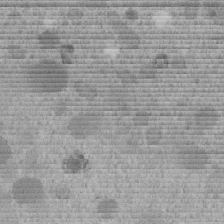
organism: C. elegans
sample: C. elegans embryo early stage